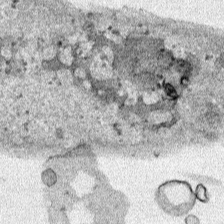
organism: Human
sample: Mitochondria in HCT116 cells